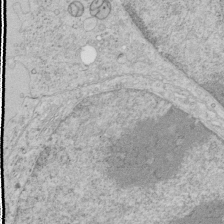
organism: Human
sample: Mitochondria in HCT116 cells